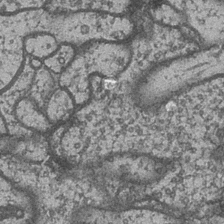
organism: Drosophila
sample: Optic medulla